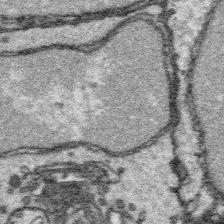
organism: Platynereis dumerilii